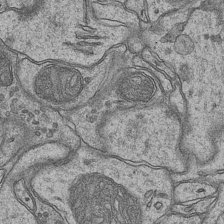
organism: Mouse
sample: CA1 Hippocampus